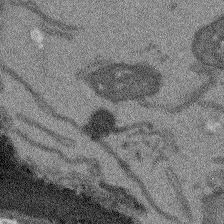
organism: Arabidopsis thaliana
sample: Root tip